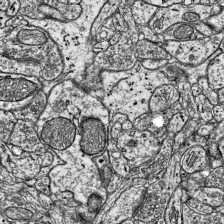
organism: Mouse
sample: Visual Cortex